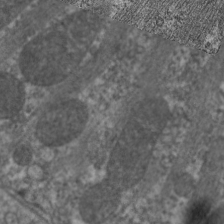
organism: C. elegans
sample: Pharynx